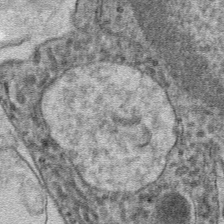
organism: Mouse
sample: Mouse hepatocytes